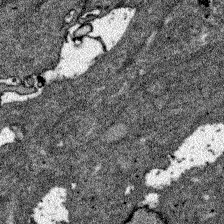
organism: Zebrafish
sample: Larval olfactory bulb